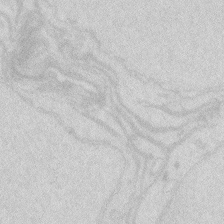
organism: Zebrafish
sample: Macrophage